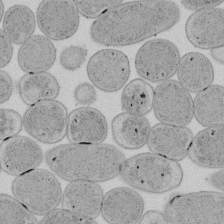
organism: E. coli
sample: Bacterial nucleoid